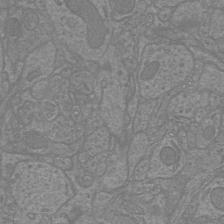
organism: Mouse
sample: Cortical neurons